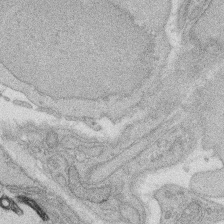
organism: Rat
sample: Salivary granule